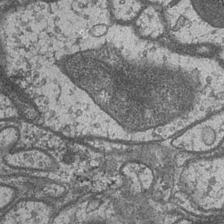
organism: Drosophila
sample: Optic medulla